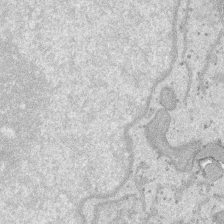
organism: Human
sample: Lung epithelial cells infected with SARS-CoV-2